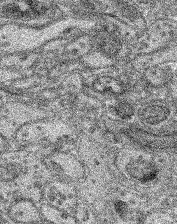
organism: Mouse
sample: Retina